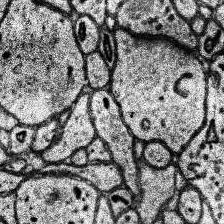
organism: Human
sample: Temporal Lobe